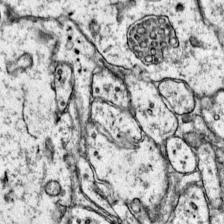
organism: Mouse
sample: Primary visual cortex